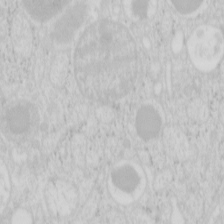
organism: Mouse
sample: Pancreas